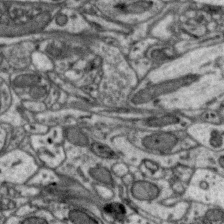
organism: Zebra finch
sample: Brain